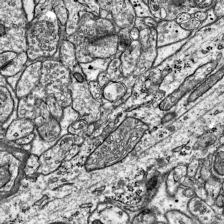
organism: Mouse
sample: Visual Cortex